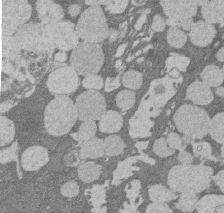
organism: Rat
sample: Salivary granule